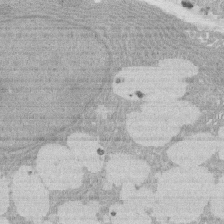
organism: Rat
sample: Salivary granule